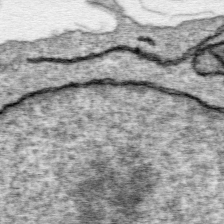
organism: Human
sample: HeLa cells